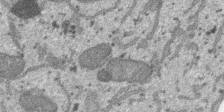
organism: Human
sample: Lung epithelial cells infected with SARS-CoV-2